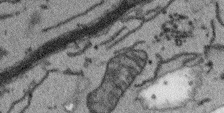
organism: Arabidopsis thaliana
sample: Root tip